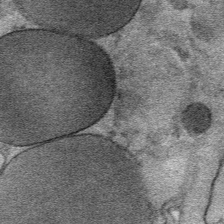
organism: Mouse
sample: Mouse Salivary gland